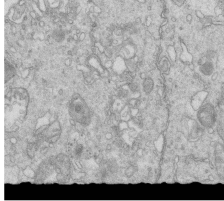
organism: Mouse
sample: Multiciliated cells